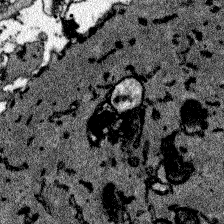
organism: Zebrafish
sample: Larval olfactory bulb